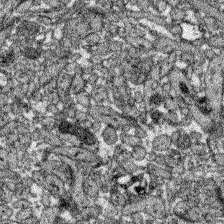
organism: Zebrafish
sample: Larval olfactory bulb